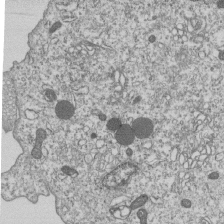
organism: Human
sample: MDA-MB-231 cells